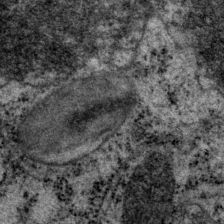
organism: P. pacificus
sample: Pharynx